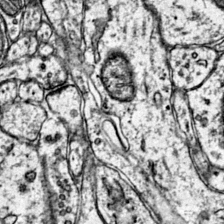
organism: Mouse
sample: Primary visual cortex